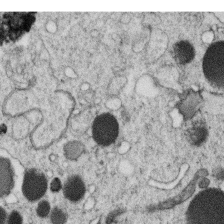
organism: C. elegans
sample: C. elegans oocyte; sperm cells